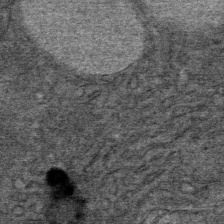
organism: Mouse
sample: Mouse Salivary gland